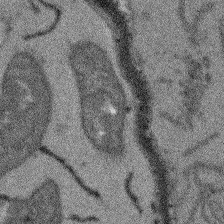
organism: Arabidopsis thaliana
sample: Root tip